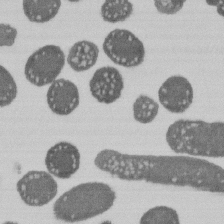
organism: E. coli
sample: Bacterial nucleoid